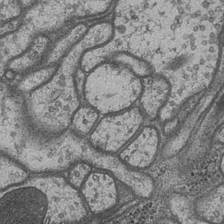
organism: Drosophila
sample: Optic medulla